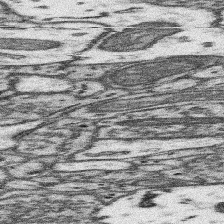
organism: Mouse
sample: Somatosensory cortex neuropil